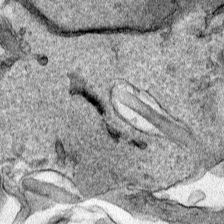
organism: Human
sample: Mitochondria in HCT116 cells